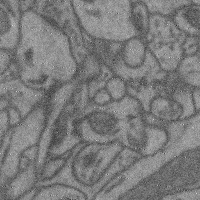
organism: Mouse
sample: Cerebral cortex